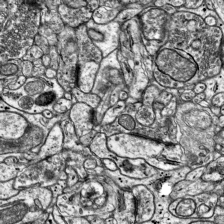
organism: Mouse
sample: Visual Cortex